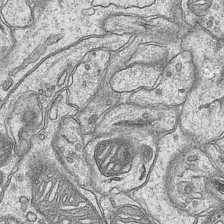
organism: Mouse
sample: CA1 Hippocampus